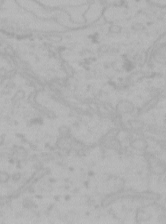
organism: Mouse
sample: Choroid plexus